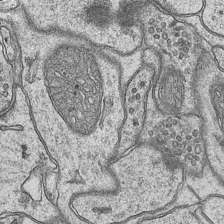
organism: Mouse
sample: CA1 Hippocampus